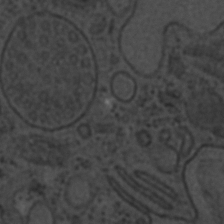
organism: C. elegans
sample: C. elegans embryo